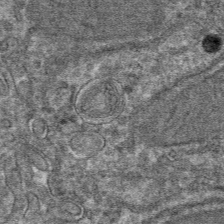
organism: Mouse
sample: Mouse hepatocytes